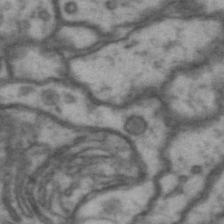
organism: Drosophila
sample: Brain